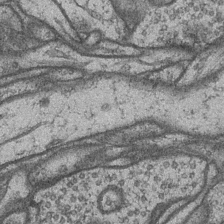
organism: Drosophila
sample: Optic medulla